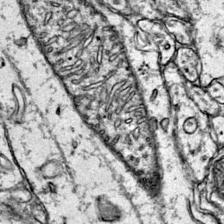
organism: Mouse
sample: Primary visual cortex